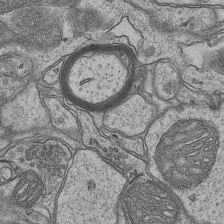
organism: Mouse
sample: CA1 Hippocampus